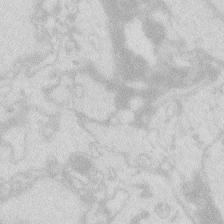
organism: Zebrafish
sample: Macrophage